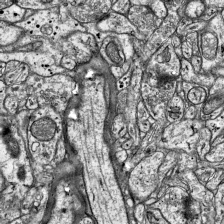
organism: Mouse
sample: Visual Cortex